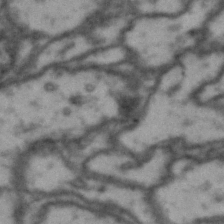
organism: Drosophila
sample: Brain